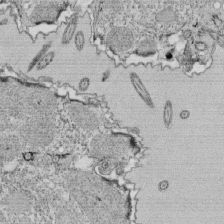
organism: Tetrahymena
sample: Cilia in tetrahymena